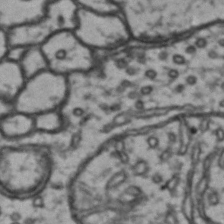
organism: Drosophila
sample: Brain